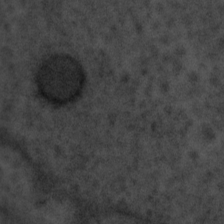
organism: Tuwongella immobilis